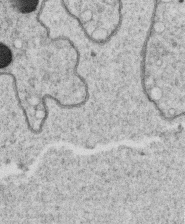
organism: C. elegans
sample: C. elegans oocyte; sperm cells